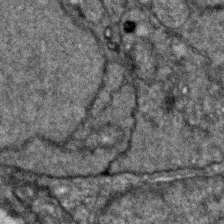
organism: Zebrafish